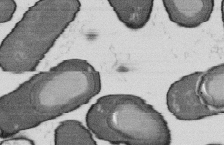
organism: B. subtilis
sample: Bacterial spore